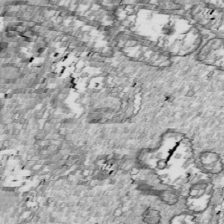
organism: Drosophila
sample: Cell division; meiosis; drosophila spermatocytes